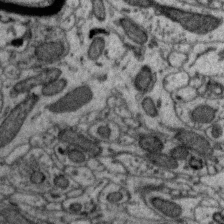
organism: Zebra finch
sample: Brain